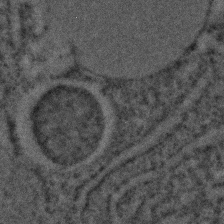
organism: C. elegans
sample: C. elegans embryo